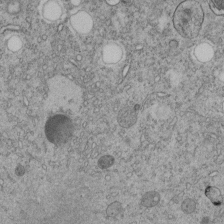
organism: C. elegans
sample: C. elegans embryo early stage